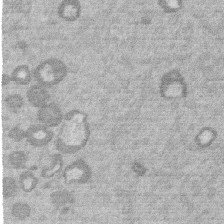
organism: Mouse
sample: Dividing mouse embryo 1 cell stage